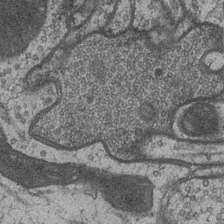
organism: Drosophila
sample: Optic medulla